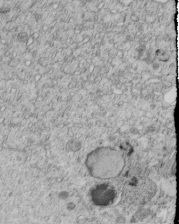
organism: C. elegans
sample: C. elegans embryo early stage